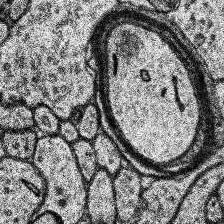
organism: Human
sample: Temporal Lobe